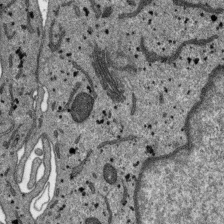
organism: Human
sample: Lung epithelial cells, uninfected (mock) control